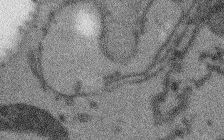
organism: Arabidopsis thaliana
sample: Root tip